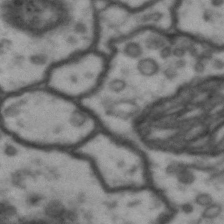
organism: Drosophila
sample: Brain